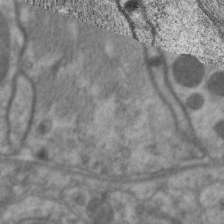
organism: C. elegans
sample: Pharynx